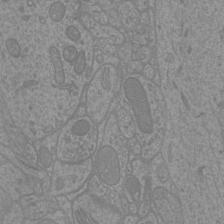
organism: Mouse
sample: Cortical neurons